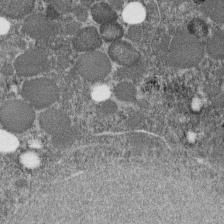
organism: C. elegans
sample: C. elegans embryo early stage